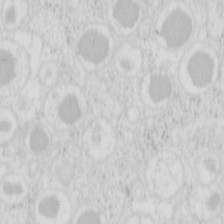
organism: Mouse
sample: Pancreas